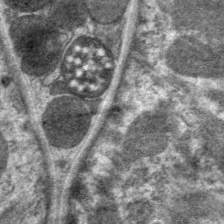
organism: C. elegans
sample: Pharynx